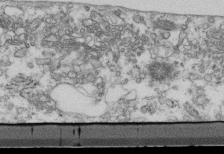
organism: Mouse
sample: Cilia; retinal pigment epithelium